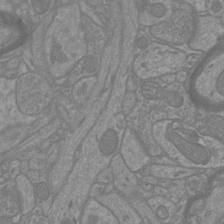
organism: Mouse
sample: Cortical neurons